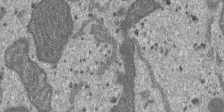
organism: Human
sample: Lung epithelial cells infected with SARS-CoV-2